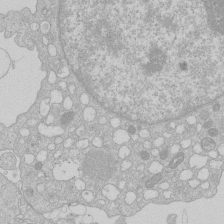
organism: Human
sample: Macrophage cells